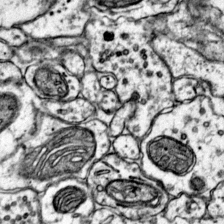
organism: Mouse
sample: Primary visual cortex